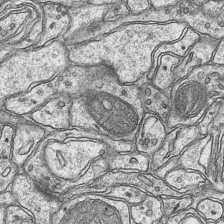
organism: Mouse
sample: CA1 Hippocampus